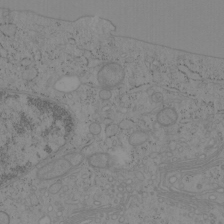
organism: Human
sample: HeLa cells